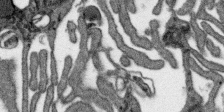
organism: Human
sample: Lung epithelial cells, uninfected (mock) control